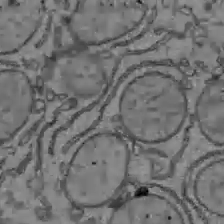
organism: C57BL Mouse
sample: Liver